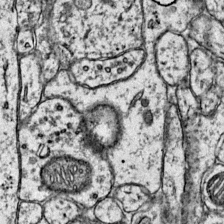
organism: Mouse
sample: Primary visual cortex